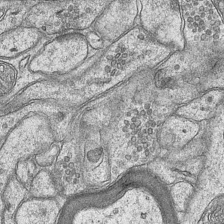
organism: Mouse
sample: CA1 Hippocampus